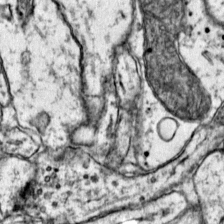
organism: Mouse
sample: Primary visual cortex